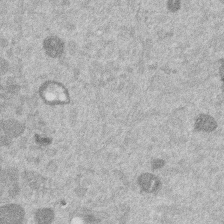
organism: Mouse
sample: Dividing mouse embryo 1 cell stage